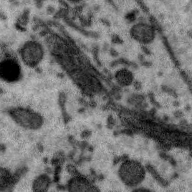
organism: Zebra finch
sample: Brain